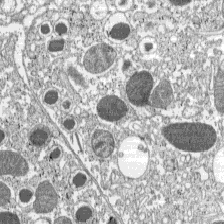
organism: C57BL Mouse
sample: Pancreatic islet